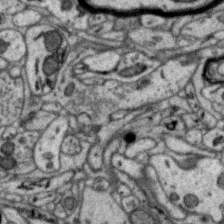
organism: Zebra finch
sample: Brain